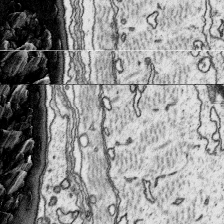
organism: Platynereis dumerilii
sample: Parapodia